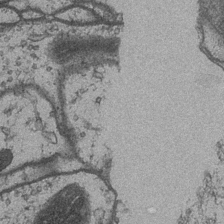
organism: Drosophila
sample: Optic medulla